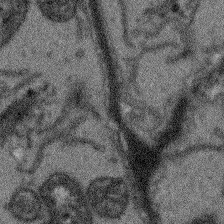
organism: Arabidopsis thaliana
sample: Root tip